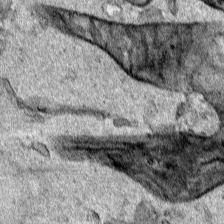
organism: Human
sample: Mitochondria in HCT116 cells